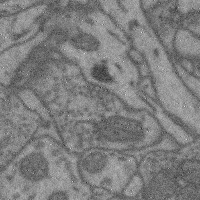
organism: Mouse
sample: Cerebral cortex